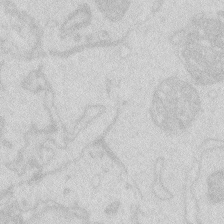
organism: Zebrafish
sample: Macrophage